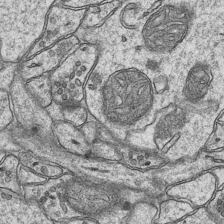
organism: Mouse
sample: CA1 Hippocampus